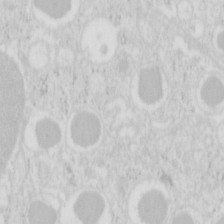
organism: Mouse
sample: Pancreas